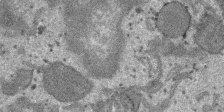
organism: Human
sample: Lung epithelial cells infected with SARS-CoV-2